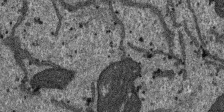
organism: Human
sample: Lung epithelial cells infected with SARS-CoV-2